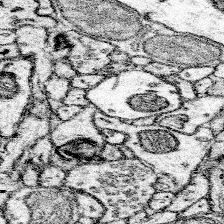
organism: Mouse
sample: Somatosensory cortex neuropil